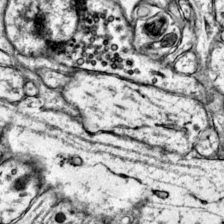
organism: Mouse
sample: Primary visual cortex